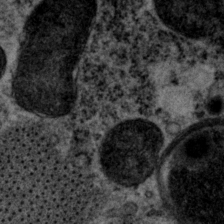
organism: P. pacificus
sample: Pharynx